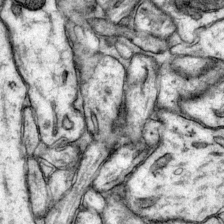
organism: Mouse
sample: Primary visual cortex